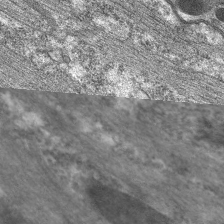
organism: C. elegans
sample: Pharynx